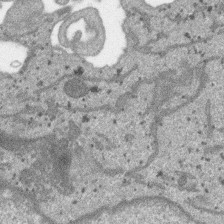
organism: Human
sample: Lung epithelial cells infected with SARS-CoV-2